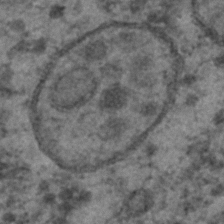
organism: C. elegans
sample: C. elegans embryo